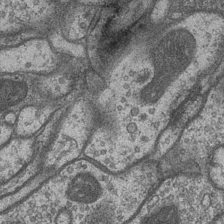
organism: Drosophila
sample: Optic medulla